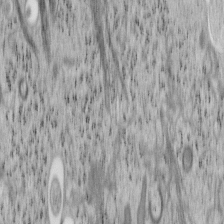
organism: Human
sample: HeLa cells